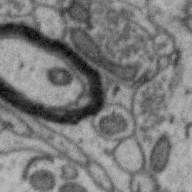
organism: Zebra finch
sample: Brain